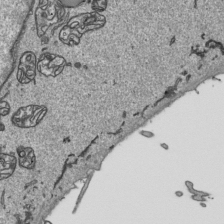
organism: Human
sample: Mitochondria in HCT116 cells